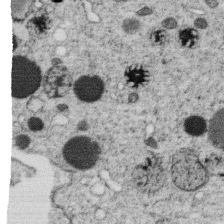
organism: C. elegans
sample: C. elegans oocyte; sperm cells